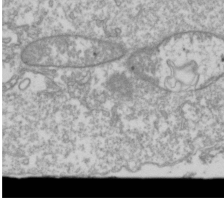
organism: Drosophila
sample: Cell division; meiosis; drosophila spermatocytes